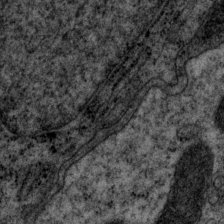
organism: P. pacificus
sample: Pharynx